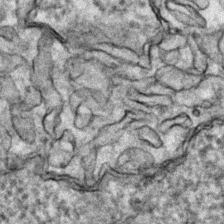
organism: Zebrafish